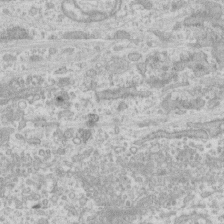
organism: Human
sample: CRL-1474